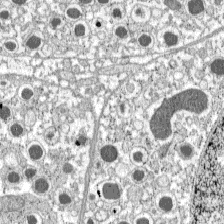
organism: C57BL Mouse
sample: Pancreatic islet